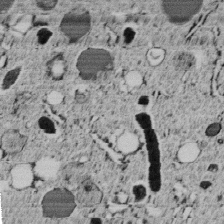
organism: C. elegans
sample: C. elegans embryo early stage